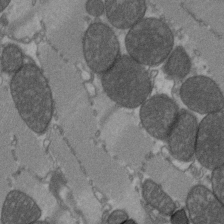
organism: C57BL Mouse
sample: Heart